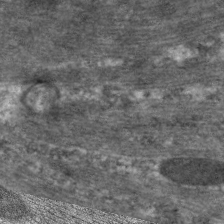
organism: C. elegans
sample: Pharynx